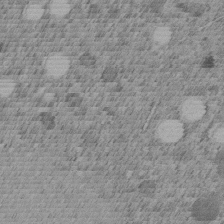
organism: C. elegans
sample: C. elegans embryo early stage